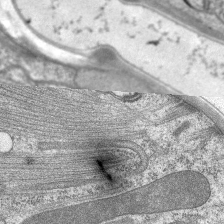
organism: C. elegans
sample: Pharynx